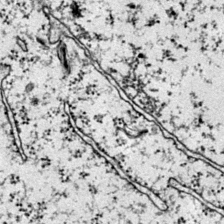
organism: Mouse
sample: Primary visual cortex